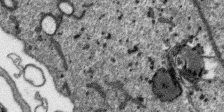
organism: Human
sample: Lung epithelial cells infected with SARS-CoV-2